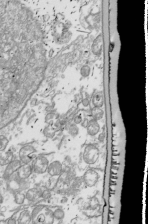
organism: Drosophila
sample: Cell division; meiosis; drosophila spermatocytes